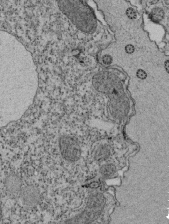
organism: Tetrahymena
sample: Cilia in tetrahymena